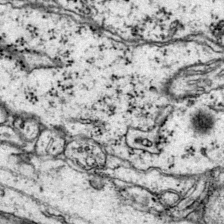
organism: Mouse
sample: Primary visual cortex